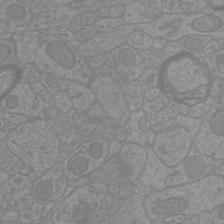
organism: Mouse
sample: Cortical neurons